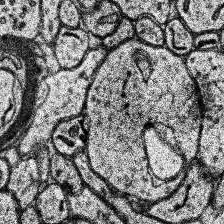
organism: Human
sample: Temporal Lobe